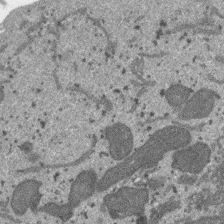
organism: Human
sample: Lung epithelial cells infected with SARS-CoV-2